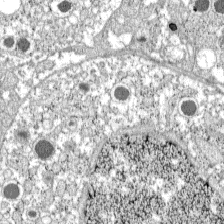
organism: C57BL Mouse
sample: Pancreatic islet